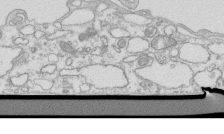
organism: Mouse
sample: Macrophages